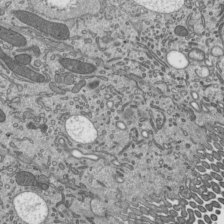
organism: Mouse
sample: Mouse epididymis efferent ductule cilia